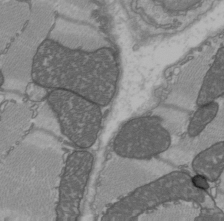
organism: C57BL Mouse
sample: Heart